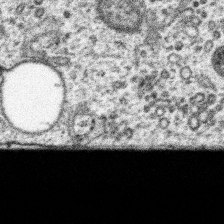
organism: Human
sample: HeLa cells